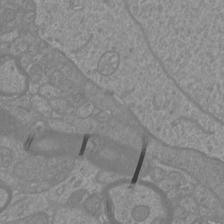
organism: Mouse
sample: Cortical neurons